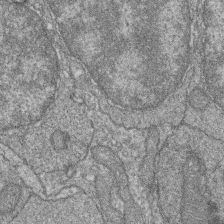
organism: Zebrafish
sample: Cilia; retinal pigment epithelium